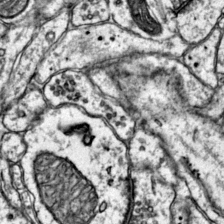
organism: Mouse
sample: Primary visual cortex